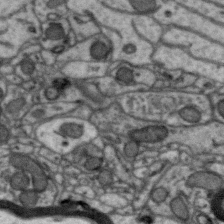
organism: Zebra finch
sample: Brain